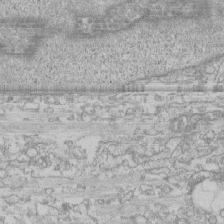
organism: Human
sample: CRL-1474